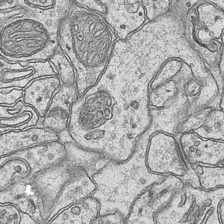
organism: Mouse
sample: CA1 Hippocampus